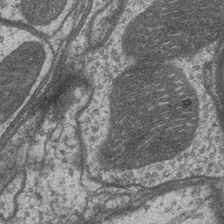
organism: Drosophila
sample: Optic medulla